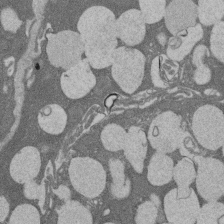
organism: Rat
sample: Salivary granule